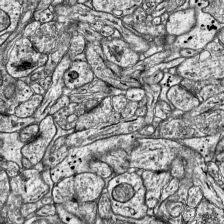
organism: Mouse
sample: Visual Cortex